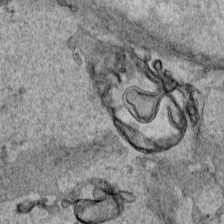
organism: Human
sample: Mitochondria in HCT116 cells